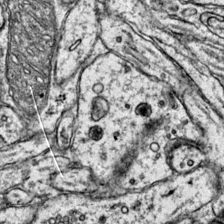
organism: Mouse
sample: Primary visual cortex